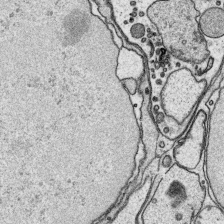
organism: Platynereis dumerilii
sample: Parapodia